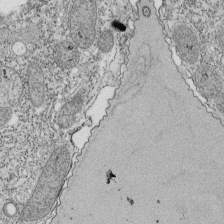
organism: Tetrahymena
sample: Cilia in tetrahymena